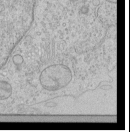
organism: Human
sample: Mitochondria in HCT116 cells